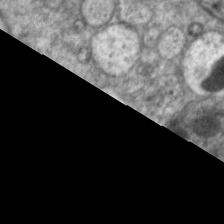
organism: C. elegans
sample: Pharynx